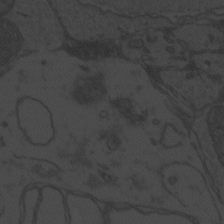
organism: Zebrafish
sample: Macrophage infected with Toxoplasma gondii